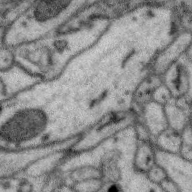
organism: Zebra finch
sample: Brain